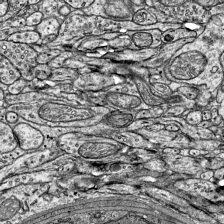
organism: Mouse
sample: Visual Cortex